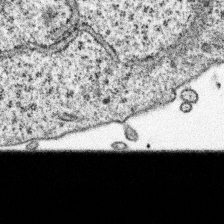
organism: Human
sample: HeLa cells